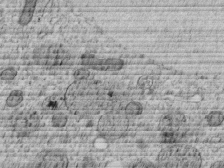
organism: C. elegans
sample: C. elegans embryo early stage